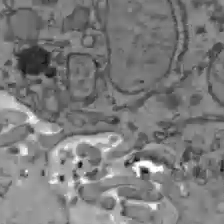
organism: C57BL Mouse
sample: Liver